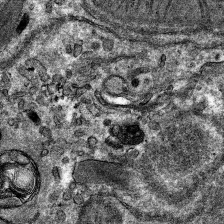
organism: Mouse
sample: Mouse hepatocytes